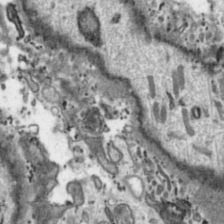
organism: Toxoplasma gondii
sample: Parasites in a vacuole inside a host cell